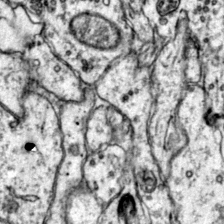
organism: Mouse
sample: Primary visual cortex